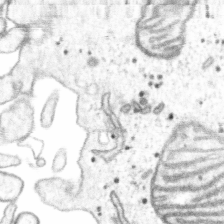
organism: Human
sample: HeLa cells